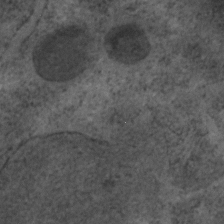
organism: C. elegans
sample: C. elegans embryo